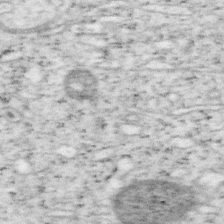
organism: Mouse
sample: OT-I killer T cells with ID8 ovarian cancer cells